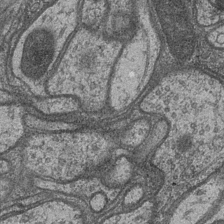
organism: Drosophila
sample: Optic medulla